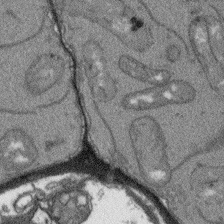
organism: Arabidopsis thaliana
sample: Root tip